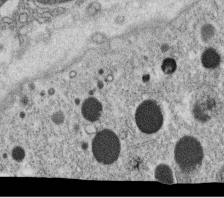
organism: C. elegans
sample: C. elegans oocyte; sperm cells